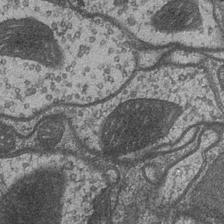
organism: Drosophila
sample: Optic medulla